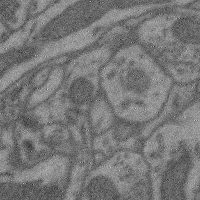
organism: Mouse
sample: Cerebral cortex